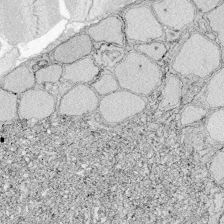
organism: Zebrafish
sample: Whole-Brain